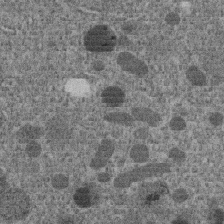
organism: C. elegans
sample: C. elegans embryo early stage